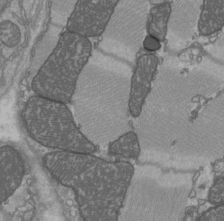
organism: C57BL Mouse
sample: Heart